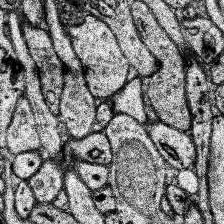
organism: Human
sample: Temporal Lobe